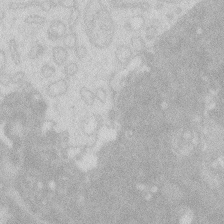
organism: Zebrafish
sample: Macrophage